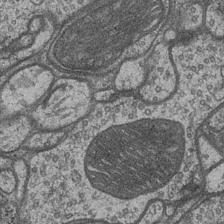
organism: Drosophila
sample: Optic medulla